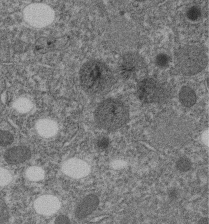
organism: C. elegans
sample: C. elegans embryo early stage